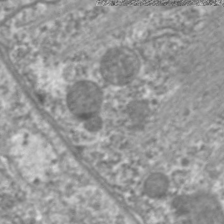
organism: C. elegans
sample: Pharynx